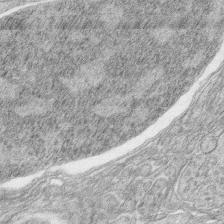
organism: Zebrafish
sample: synaptic ribbons in rod cells and cone cells